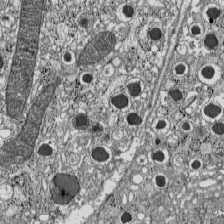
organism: C57BL Mouse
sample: Pancreatic islet